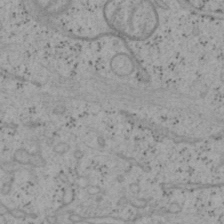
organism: Human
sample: HeLa cells